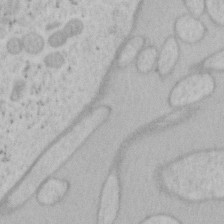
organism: Human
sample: HeLa cells